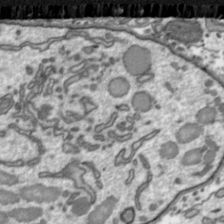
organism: Toxoplasma gondii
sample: Parasites in a vacuole inside a host cell